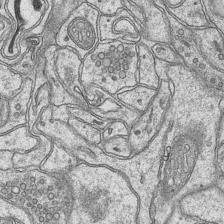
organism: Mouse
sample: CA1 Hippocampus